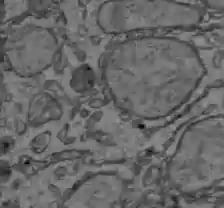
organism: C57BL Mouse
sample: Liver